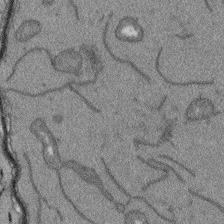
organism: Arabidopsis thaliana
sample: Root tip